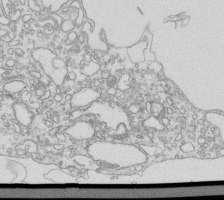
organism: Mouse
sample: Macrophages